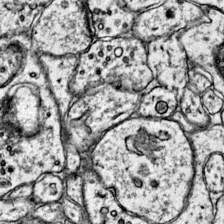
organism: Mouse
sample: Primary visual cortex